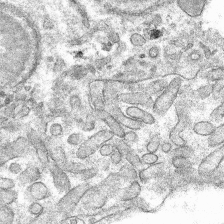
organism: Mouse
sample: Mouse hepatocytes